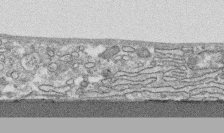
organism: Human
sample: CRL-1474